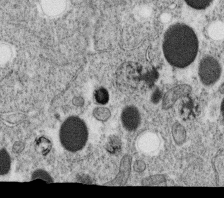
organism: C. elegans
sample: C. elegans oocyte; sperm cells